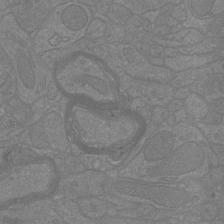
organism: Mouse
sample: Cortical neurons